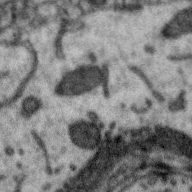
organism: Zebra finch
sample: Brain